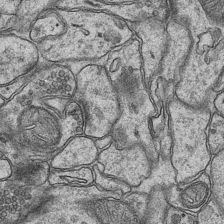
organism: Mouse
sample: CA1 Hippocampus